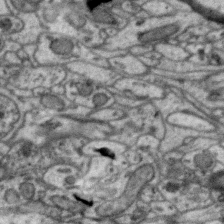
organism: Zebra finch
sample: Brain